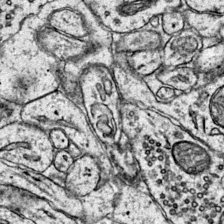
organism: Mouse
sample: Primary visual cortex